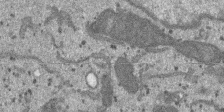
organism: Human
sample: Lung epithelial cells infected with SARS-CoV-2